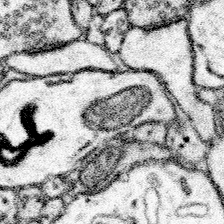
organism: Mouse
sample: Somatosensory cortex neuropil